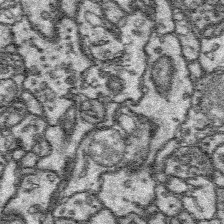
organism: Platynereis dumerilii